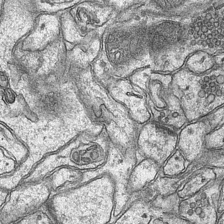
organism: Mouse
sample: CA1 Hippocampus